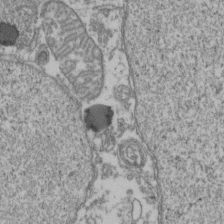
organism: Human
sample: Activated Jurkat CD4+ T cells